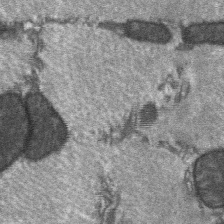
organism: C57BL Mouse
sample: Soleus